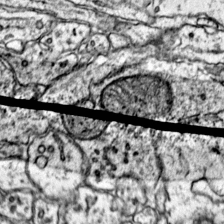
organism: Mouse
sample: Primary visual cortex